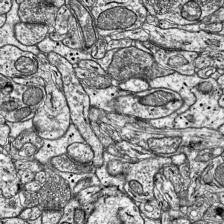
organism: Mouse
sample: Visual Cortex